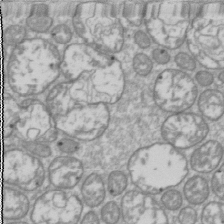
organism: Drosophila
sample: Cell division; meiosis; drosophila spermatocytes